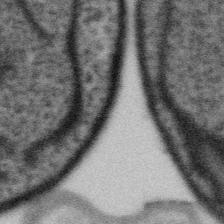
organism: Gemmata obscuriglobus